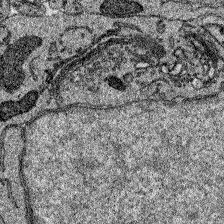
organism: Zebrafish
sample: Larval olfactory bulb